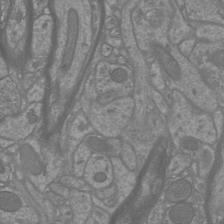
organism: Mouse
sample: Cortical neurons